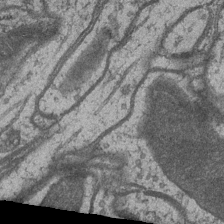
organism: Drosophila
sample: Optic medulla